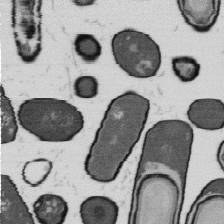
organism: B. subtilis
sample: Bacterial spore